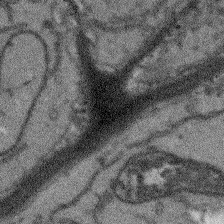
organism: Arabidopsis thaliana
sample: Root tip